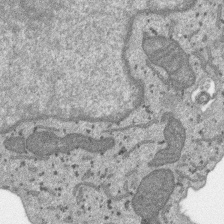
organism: Human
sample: Lung epithelial cells infected with SARS-CoV-2